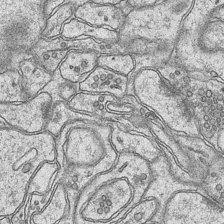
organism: Mouse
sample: CA1 Hippocampus